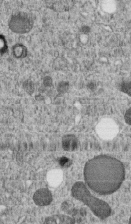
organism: C. elegans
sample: C. elegans embryo early stage